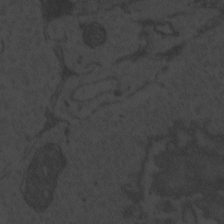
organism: Zebrafish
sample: Macrophage infected with Toxoplasma gondii